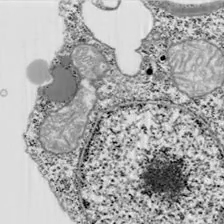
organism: Chlamydomonas reinhardtii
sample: Whole Cell